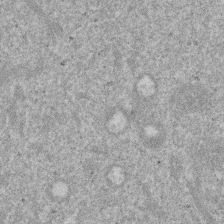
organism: Mouse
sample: Dividing mouse embryo 1 cell stage